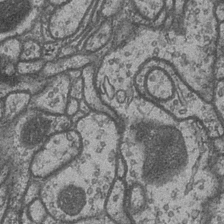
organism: Drosophila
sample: Optic medulla